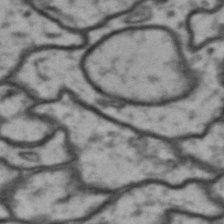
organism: Drosophila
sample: Brain